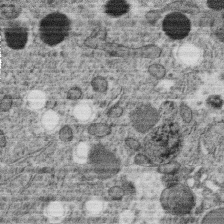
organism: C. elegans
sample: C. elegans oocyte; sperm cells